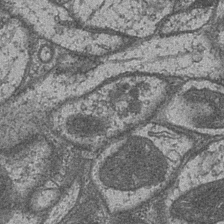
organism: Drosophila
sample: Optic medulla